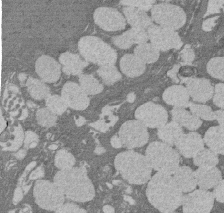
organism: Rat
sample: Salivary granule